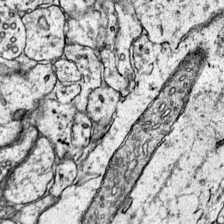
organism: Mouse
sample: Primary visual cortex